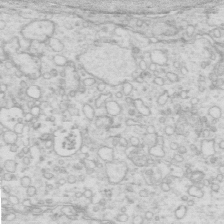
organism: Mouse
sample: Multiciliated cells